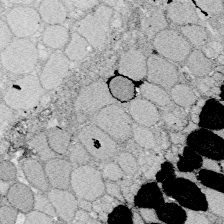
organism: Zebrafish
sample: Whole-Brain